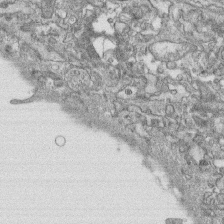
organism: Human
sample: CRL-1474